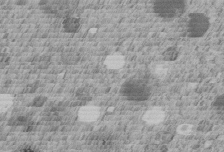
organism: C. elegans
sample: C. elegans embryo early stage